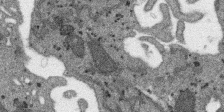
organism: Human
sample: Lung epithelial cells infected with SARS-CoV-2